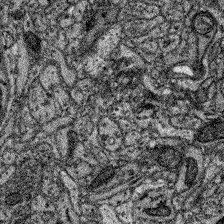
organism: Zebrafish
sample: Larval olfactory bulb